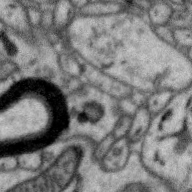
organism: Zebra finch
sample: Brain